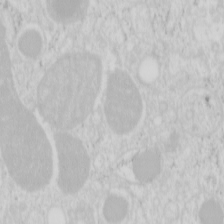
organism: Mouse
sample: Pancreas